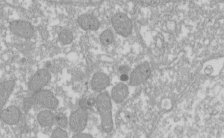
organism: Xenopus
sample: Cilia; centrioles in frog embryo cells